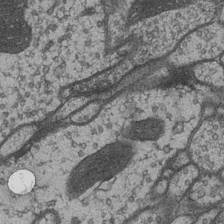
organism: Drosophila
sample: Optic medulla